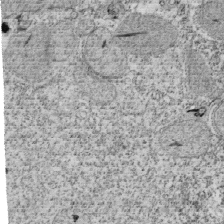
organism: Tetrahymena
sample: Cilia in tetrahymena